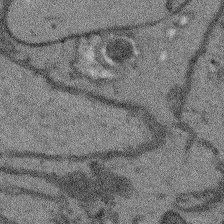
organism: Arabidopsis thaliana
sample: Root tip